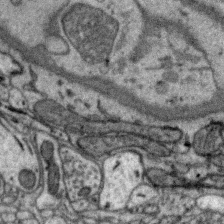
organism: Zebra finch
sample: Brain